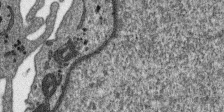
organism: Human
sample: Lung epithelial cells infected with SARS-CoV-2